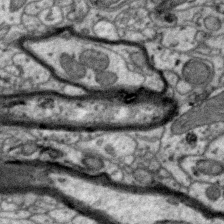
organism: Zebra finch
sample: Brain